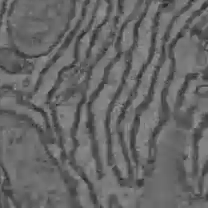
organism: C57BL Mouse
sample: Liver